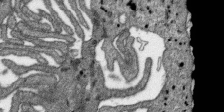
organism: Human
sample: Lung epithelial cells, uninfected (mock) control